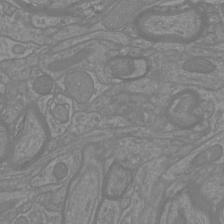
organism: Mouse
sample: Cortical neurons